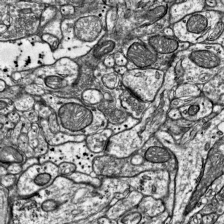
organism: Mouse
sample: Visual Cortex